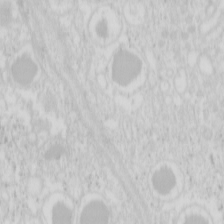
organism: Mouse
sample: Pancreas